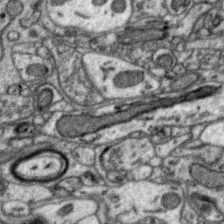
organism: Zebra finch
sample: Brain